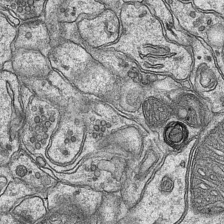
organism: Mouse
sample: CA1 Hippocampus